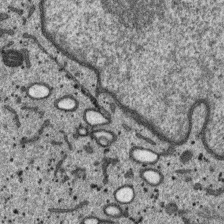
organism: Human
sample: Lung epithelial cells infected with SARS-CoV-2